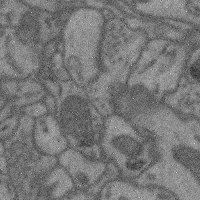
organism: Mouse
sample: Cerebral cortex